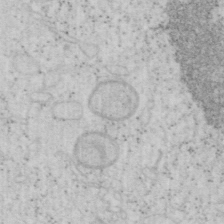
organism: Human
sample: HeLa cells